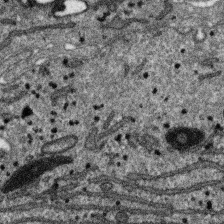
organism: Human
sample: Lung epithelial cells infected with SARS-CoV-2